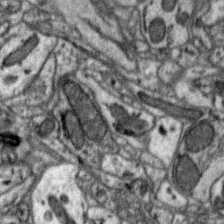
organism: Zebra finch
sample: Brain